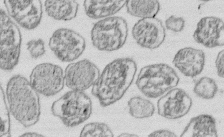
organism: E. coli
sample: Bacterial nucleoid